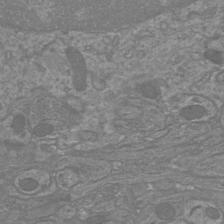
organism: Mouse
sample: Cortical neurons